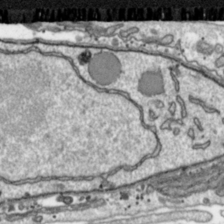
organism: Toxoplasma gondii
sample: Parasites in a vacuole inside a host cell